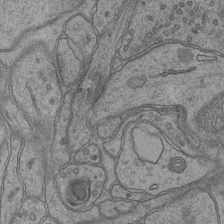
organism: Mouse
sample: CA1 Hippocampus